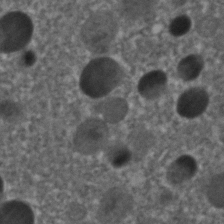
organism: C. elegans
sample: C. elegans embryo